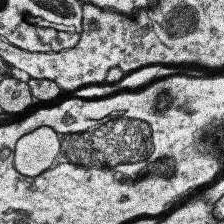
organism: Human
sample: Temporal Lobe